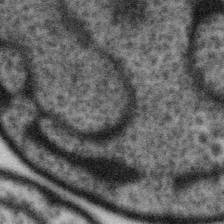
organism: Gemmata obscuriglobus